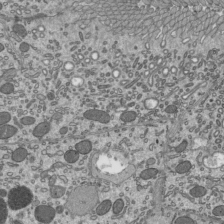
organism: Mouse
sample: Mouse epididymis efferent ductule cilia